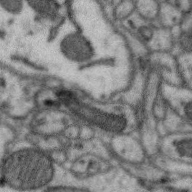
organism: Zebra finch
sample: Brain